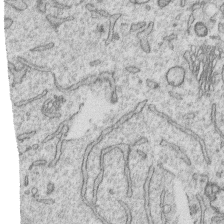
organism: Human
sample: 1205lu cells